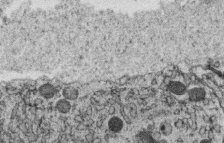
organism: C. elegans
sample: C. elegans oocyte; sperm cells